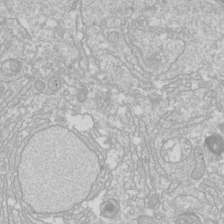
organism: Drosophila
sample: Cell division; meiosis; drosophila spermatocytes